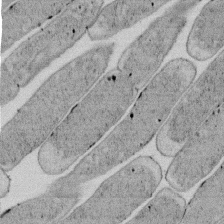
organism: E. coli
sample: Bacterial nucleoid